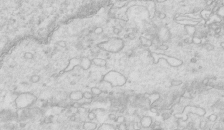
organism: Mouse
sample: Multiciliated cells